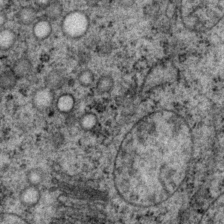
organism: P. pacificus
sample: Pharynx